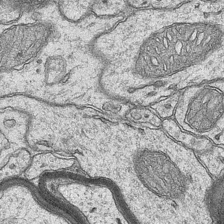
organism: Mouse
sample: CA1 Hippocampus